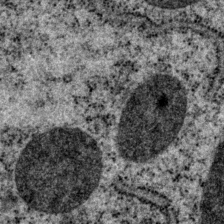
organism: P. pacificus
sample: Pharynx